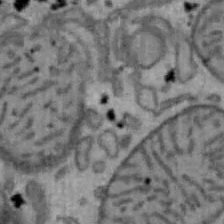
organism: Mouse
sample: Liver